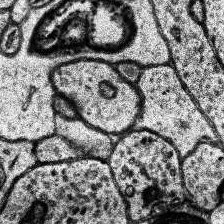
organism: Human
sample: Temporal Lobe